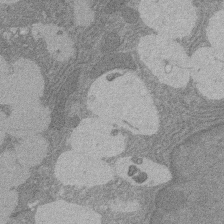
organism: Rat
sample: Salivary granule